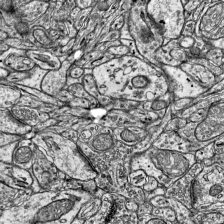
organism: Mouse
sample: Visual Cortex